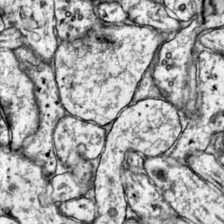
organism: Mouse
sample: Primary visual cortex